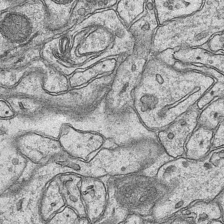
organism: Mouse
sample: CA1 Hippocampus